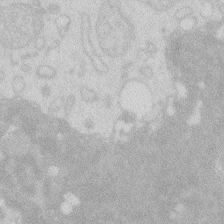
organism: Zebrafish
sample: Macrophage